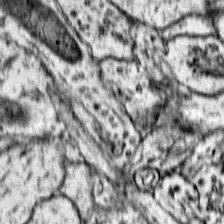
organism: Mouse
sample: Primary visual cortex